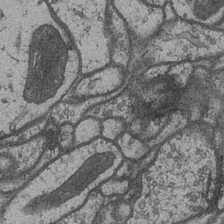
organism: Drosophila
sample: Optic medulla